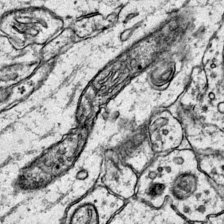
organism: Mouse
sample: Primary visual cortex